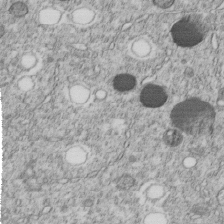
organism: C. elegans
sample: C. elegans embryo early stage